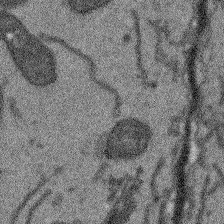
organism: Arabidopsis thaliana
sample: Root tip